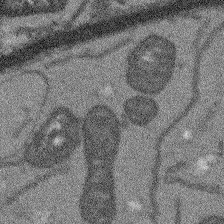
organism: Arabidopsis thaliana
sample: Root tip